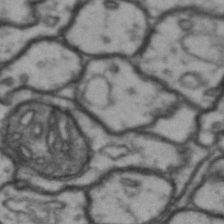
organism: Drosophila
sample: Brain